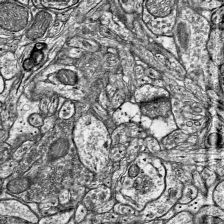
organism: Mouse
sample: Visual Cortex